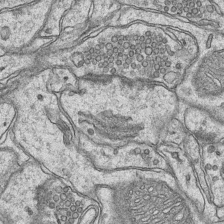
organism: Mouse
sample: CA1 Hippocampus